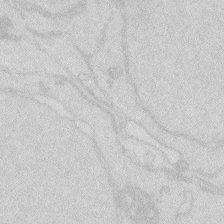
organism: Zebrafish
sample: Macrophage